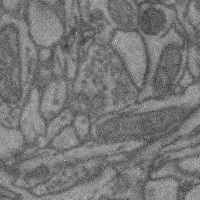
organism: Mouse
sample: Cerebral cortex